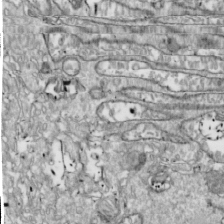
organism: Drosophila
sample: Cell division; meiosis; drosophila spermatocytes